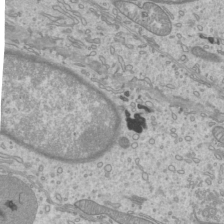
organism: Mouse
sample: Cilia; mouse epididymis